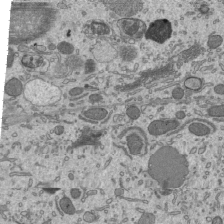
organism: Mouse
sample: Mouse epididymis efferent ductule cilia